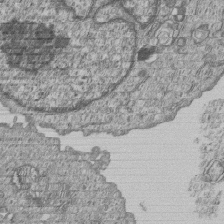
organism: Human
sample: MDA-MB-231 cells